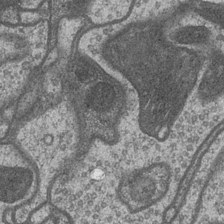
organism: Drosophila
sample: Optic medulla